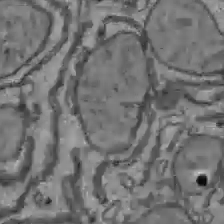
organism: C57BL Mouse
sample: Liver